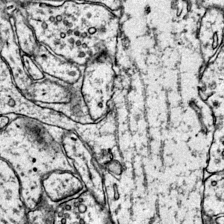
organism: Mouse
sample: Primary visual cortex